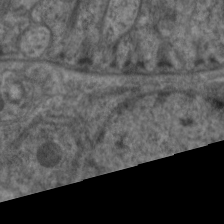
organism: C. elegans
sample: Pharynx